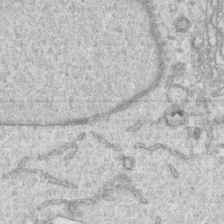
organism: Human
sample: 1205lu cells